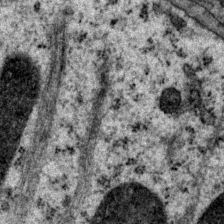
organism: P. pacificus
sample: Pharynx